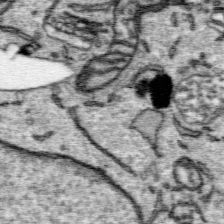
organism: Human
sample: HeLa cells